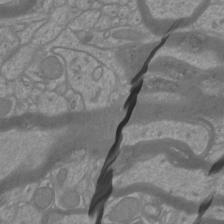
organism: Mouse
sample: Cortical neurons